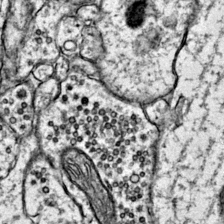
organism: Mouse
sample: Primary visual cortex